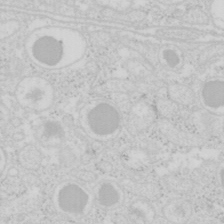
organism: Mouse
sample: Pancreas